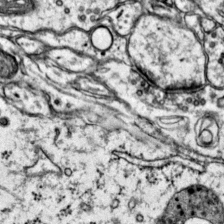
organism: Mouse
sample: Primary visual cortex